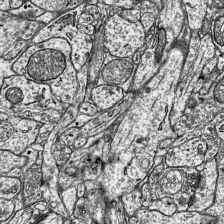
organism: Mouse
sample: Visual Cortex